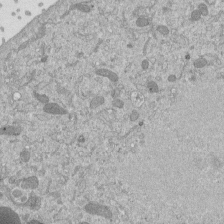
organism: Mouse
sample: ED-1 cell nuclei; centrioles